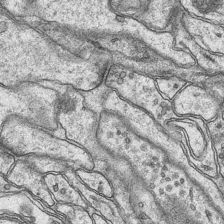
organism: Mouse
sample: CA1 Hippocampus